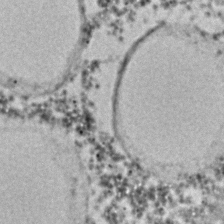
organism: C. elegans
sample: C. elegans embryo